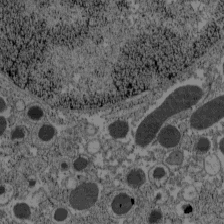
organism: C57BL Mouse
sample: Pancreatic islet